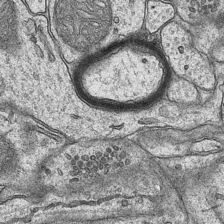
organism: Mouse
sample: CA1 Hippocampus